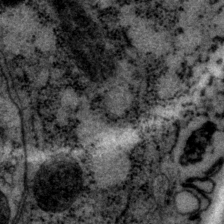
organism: P. pacificus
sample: Pharynx